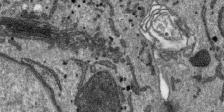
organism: Human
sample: Lung epithelial cells, uninfected (mock) control